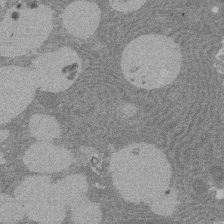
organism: Rat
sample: Salivary granule